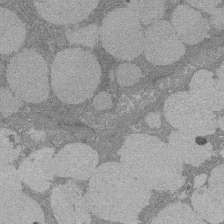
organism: Rat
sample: Salivary granule